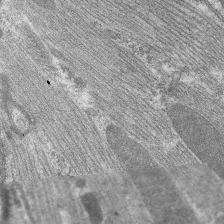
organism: C. elegans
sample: Pharynx